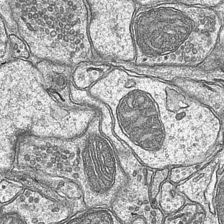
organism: Mouse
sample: CA1 Hippocampus